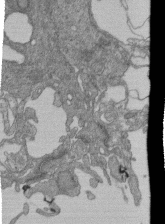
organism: Human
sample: Retinal organoid Rod and Cone cells